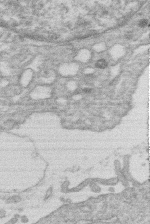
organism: Human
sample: Macrophage cells